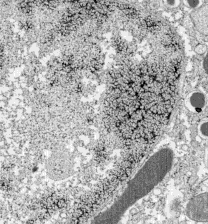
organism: C57BL Mouse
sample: Pancreatic islet